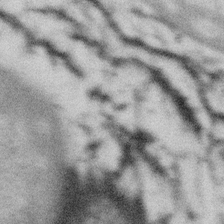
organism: Gemmata obscuriglobus